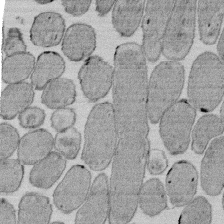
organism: E. coli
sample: Bacterial nucleoid